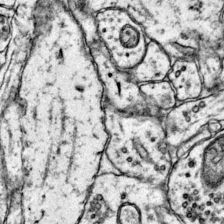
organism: Mouse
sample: Primary visual cortex